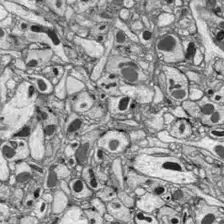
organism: Drosophila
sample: Optic lobe